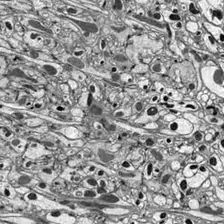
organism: Drosophila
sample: Optic lobe